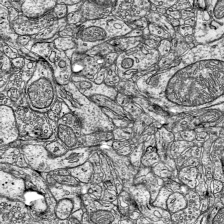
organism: Mouse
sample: Visual Cortex